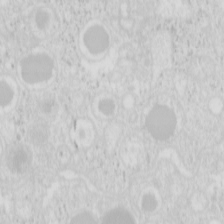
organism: Mouse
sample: Pancreas